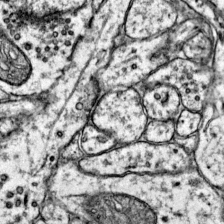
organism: Mouse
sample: Primary visual cortex